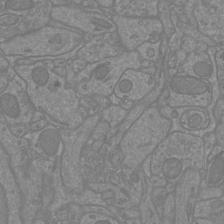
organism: Mouse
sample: Cortical neurons